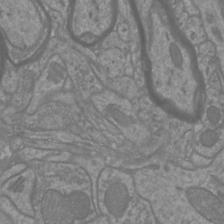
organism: Mouse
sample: Cortical neurons